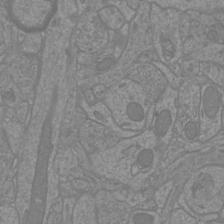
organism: Mouse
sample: Cortical neurons